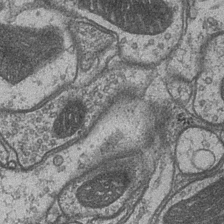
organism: Drosophila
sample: Optic medulla